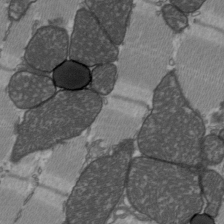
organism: C57BL Mouse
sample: Heart